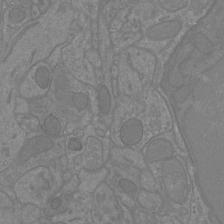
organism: Mouse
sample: Cortical neurons